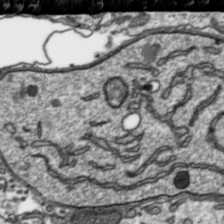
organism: Toxoplasma gondii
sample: Parasites in a vacuole inside a host cell